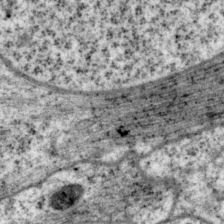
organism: P. pacificus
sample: Pharynx